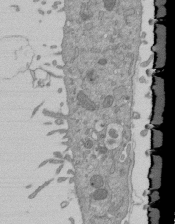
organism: Mouse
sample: ED-1 cell nuclei; centrioles